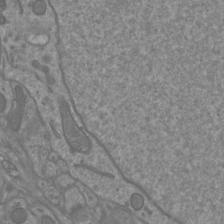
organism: Mouse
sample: Cortical neurons